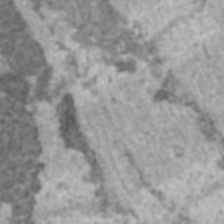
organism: C57BL Mouse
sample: Heart